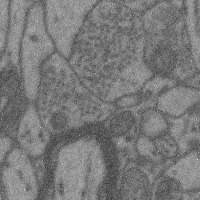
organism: Mouse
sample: Cerebral cortex